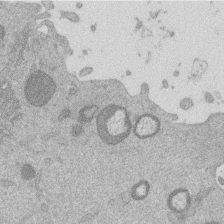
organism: Mouse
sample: Dividing mouse embryo 1 cell stage